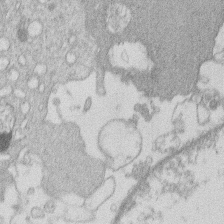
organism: Human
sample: Macrophage cells